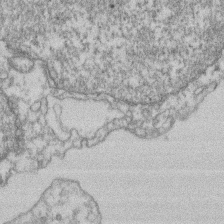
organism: Mouse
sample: T cell stromal cell synapse